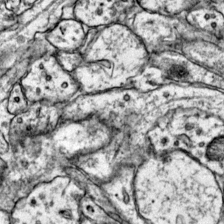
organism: Mouse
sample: Primary visual cortex